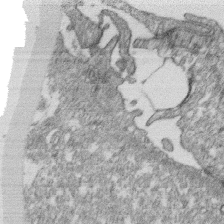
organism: African green monkey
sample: Vero E6 cells infected with SARS-CoV-2